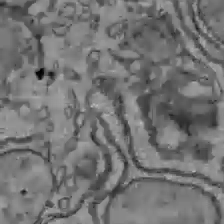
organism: C57BL Mouse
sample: Liver